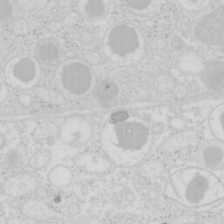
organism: Mouse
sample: Pancreas